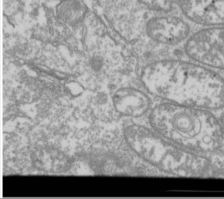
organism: Drosophila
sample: Cell division; meiosis; drosophila spermatocytes